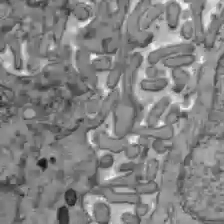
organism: C57BL Mouse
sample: Liver